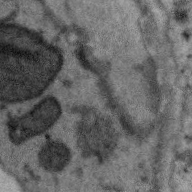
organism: Zebra finch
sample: Brain